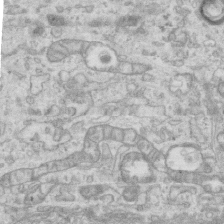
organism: Mouse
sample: Centriole in ependymal cells